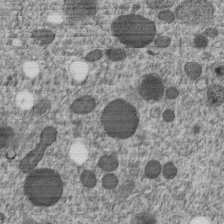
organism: C. elegans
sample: C. elegans embryo early stage